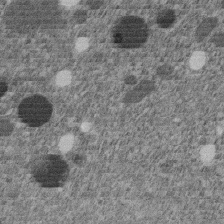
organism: C. elegans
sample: C. elegans embryo early stage